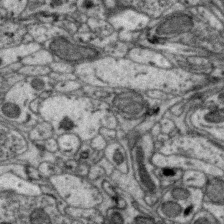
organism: Zebra finch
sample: Brain